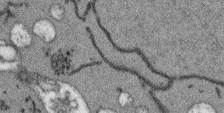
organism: Arabidopsis thaliana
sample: Root tip